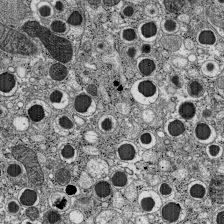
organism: C57BL Mouse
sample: Pancreatic islet